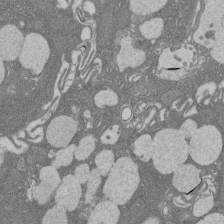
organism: Rat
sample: Salivary granule